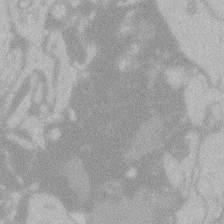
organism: Zebrafish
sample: Macrophage infected with Toxoplasma gondii